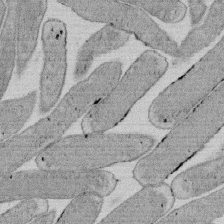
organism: E. coli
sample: Bacterial nucleoid